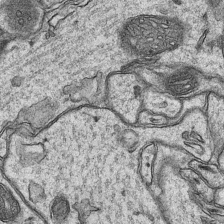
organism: Mouse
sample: CA1 Hippocampus